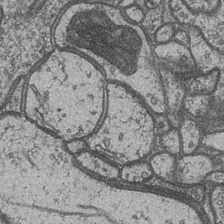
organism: Drosophila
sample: Optic medulla